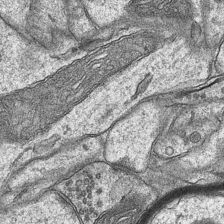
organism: Mouse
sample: CA1 Hippocampus